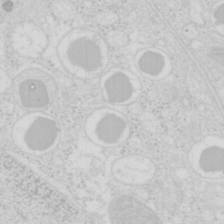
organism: Mouse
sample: Pancreas